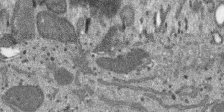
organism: Human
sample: Lung epithelial cells infected with SARS-CoV-2